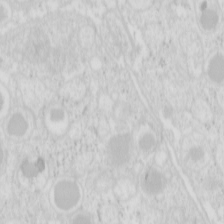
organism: Mouse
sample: Pancreas